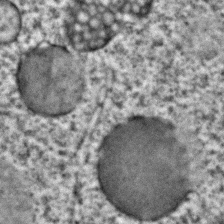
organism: C. elegans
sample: C. elegans embryo